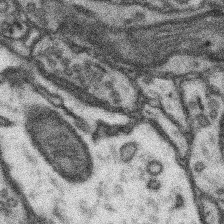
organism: Mouse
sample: Somatosensory cortex neuropil